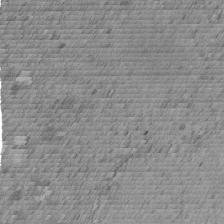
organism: C. elegans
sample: C. elegans embryo early stage